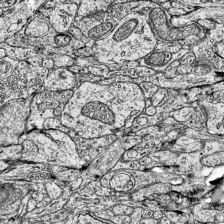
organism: Mouse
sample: Visual Cortex